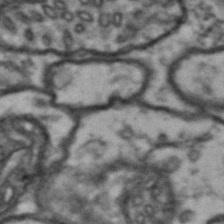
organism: Drosophila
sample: Brain